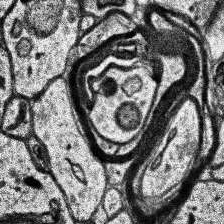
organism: Human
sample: Temporal Lobe